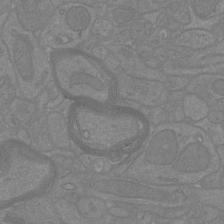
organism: Mouse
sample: Cortical neurons